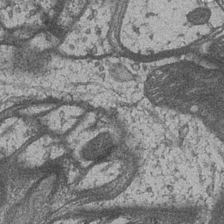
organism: Drosophila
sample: Optic medulla